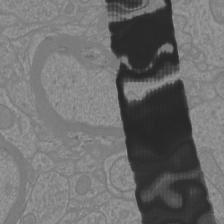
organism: Mouse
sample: Cortical neurons